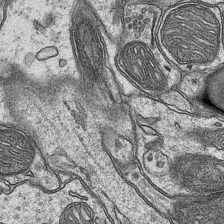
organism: Mouse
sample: CA1 Hippocampus